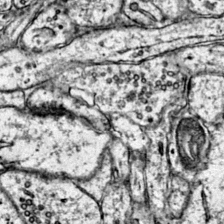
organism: Mouse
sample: Primary visual cortex